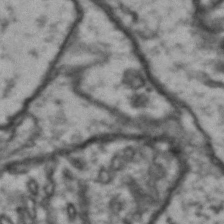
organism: Drosophila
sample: Brain